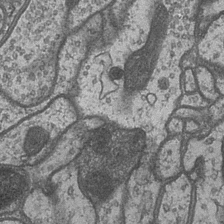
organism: Drosophila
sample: Optic medulla